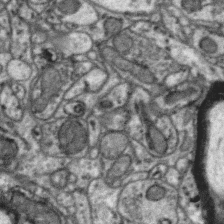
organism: Zebra finch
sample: Brain